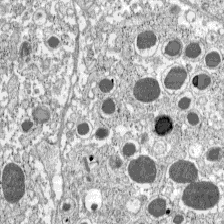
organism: C57BL Mouse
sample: Pancreatic islet